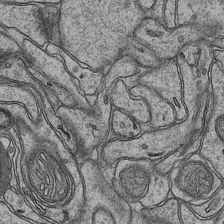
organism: Mouse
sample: CA1 Hippocampus